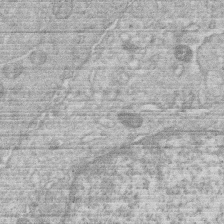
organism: Human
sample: Macrophage cells